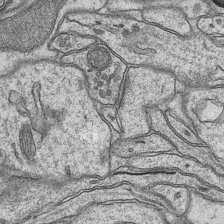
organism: Mouse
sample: CA1 Hippocampus